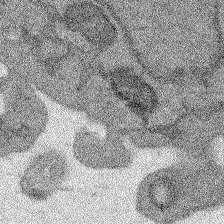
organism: Human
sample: HeLa cells